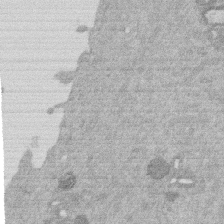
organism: Mouse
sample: Dividing mouse embryo 1 cell stage